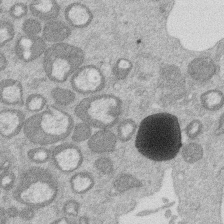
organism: Mouse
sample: Dividing mouse embryo 1 cell stage